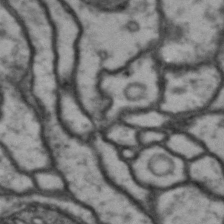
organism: Drosophila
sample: Brain